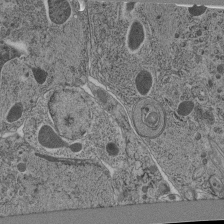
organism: C. elegans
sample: C. elegans pharynx